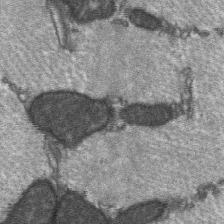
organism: C57BL Mouse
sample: Soleus